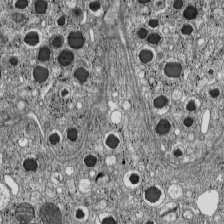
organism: C57BL Mouse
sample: Pancreatic islet